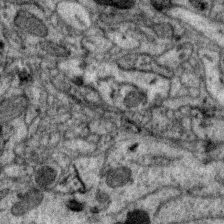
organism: Zebra finch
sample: Brain